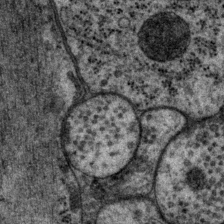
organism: P. pacificus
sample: Pharynx